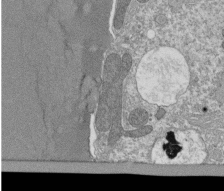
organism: Tetrahymena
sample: Cilia in tetrahymena